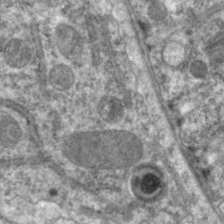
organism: C. elegans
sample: Pharynx